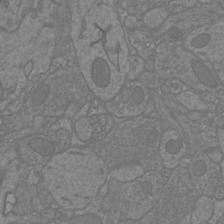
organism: Mouse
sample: Cortical neurons